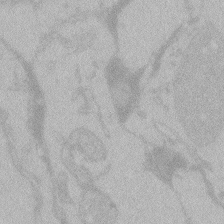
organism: Zebrafish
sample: Macrophage infected with Toxoplasma gondii